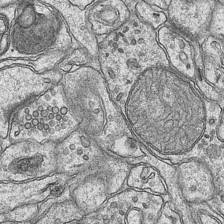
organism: Mouse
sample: CA1 Hippocampus